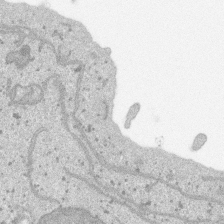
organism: Human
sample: Lung epithelial cells infected with SARS-CoV-2